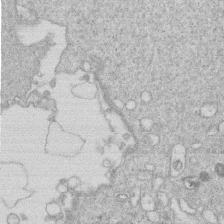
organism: Human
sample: Macrophage cells